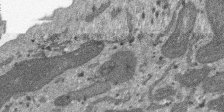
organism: Human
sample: Lung epithelial cells infected with SARS-CoV-2